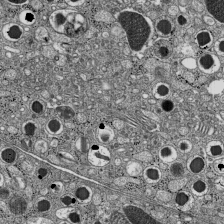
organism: C57BL Mouse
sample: Pancreatic islet